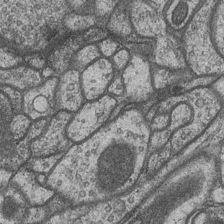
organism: Drosophila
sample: Optic medulla